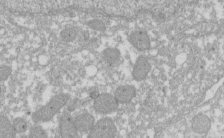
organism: Xenopus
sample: Cilia; centrioles in frog embryo cells